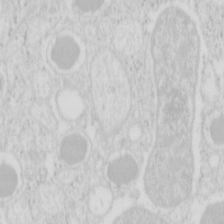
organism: Mouse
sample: Pancreas